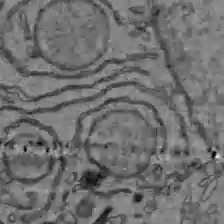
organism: C57BL Mouse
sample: Liver